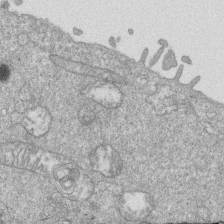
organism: Human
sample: HeLa cell HIV synapse